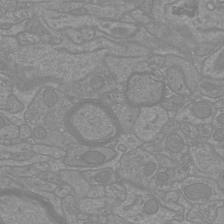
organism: Mouse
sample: Cortical neurons